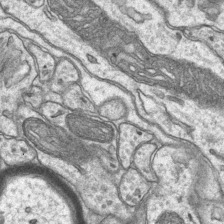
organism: Mouse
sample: CA1 Hippocampus